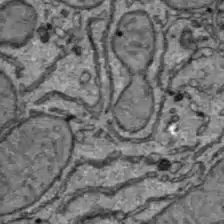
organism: C57BL Mouse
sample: Liver